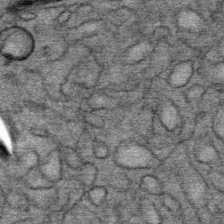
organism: Mouse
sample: Mouse Salivary gland